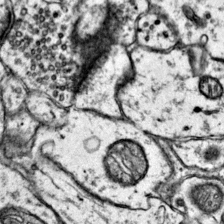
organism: Mouse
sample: Primary visual cortex